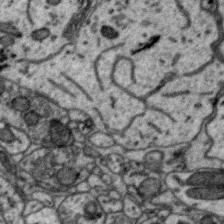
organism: Zebra finch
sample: Brain